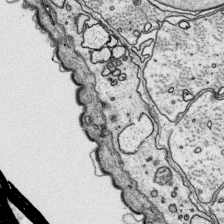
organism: Platynereis dumerilii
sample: Parapodia